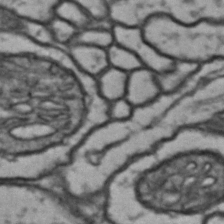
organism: Drosophila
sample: Brain